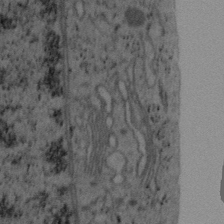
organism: Human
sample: HeLa cells